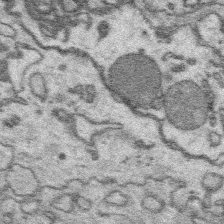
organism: Platynereis dumerilii